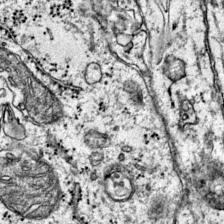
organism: Mouse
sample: Primary visual cortex